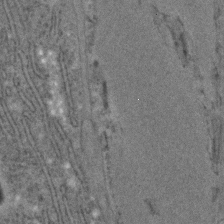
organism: C. elegans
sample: C. elegans embryo